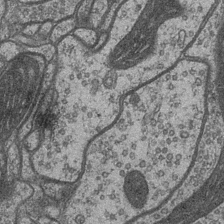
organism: Drosophila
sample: Optic medulla